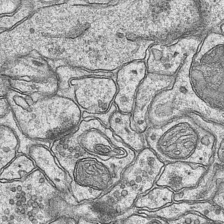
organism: Mouse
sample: CA1 Hippocampus